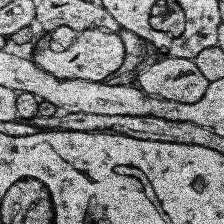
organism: Human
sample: Temporal Lobe